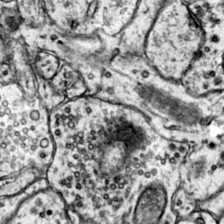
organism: Mouse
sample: Primary visual cortex